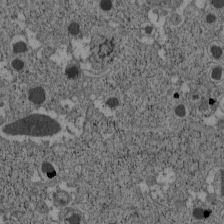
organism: C57BL Mouse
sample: Pancreatic islet